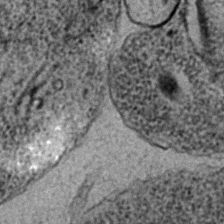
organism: C. elegans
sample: C. elegans embryo